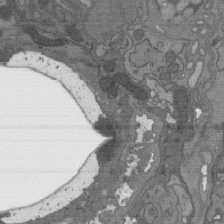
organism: C. elegans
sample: AFD neurons C. elegans